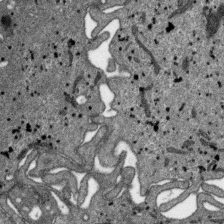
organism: Human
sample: Lung epithelial cells, uninfected (mock) control